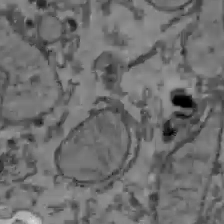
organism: C57BL Mouse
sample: Liver